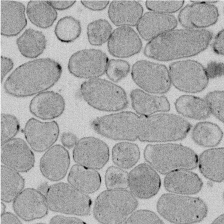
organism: E. coli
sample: Bacterial nucleoid